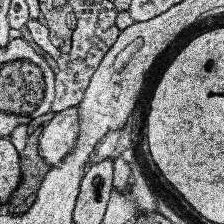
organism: Human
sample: Temporal Lobe